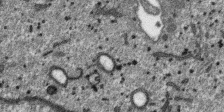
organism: Human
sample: Lung epithelial cells infected with SARS-CoV-2